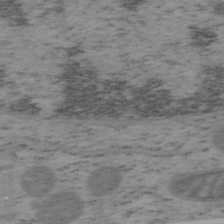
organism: Mouse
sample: OT-I killer T cells with ID8 ovarian cancer cells